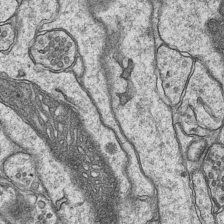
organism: Mouse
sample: CA1 Hippocampus